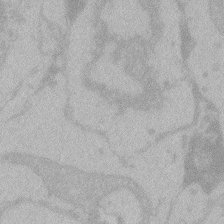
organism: Zebrafish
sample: Macrophage infected with Toxoplasma gondii